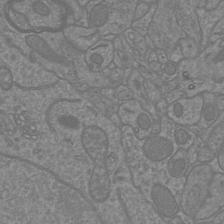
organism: Mouse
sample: Cortical neurons